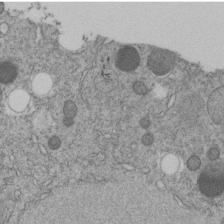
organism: C. elegans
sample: C. elegans embryo early stage